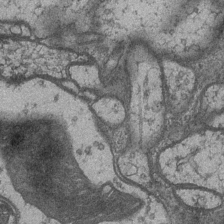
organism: Drosophila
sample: Optic medulla